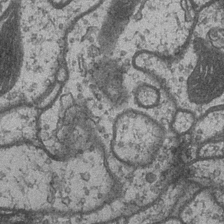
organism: Drosophila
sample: Optic medulla